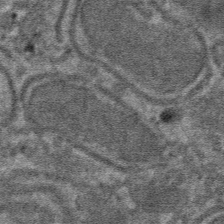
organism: Mouse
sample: Mouse hepatocytes